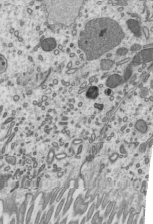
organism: Mouse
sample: Mouse epididymis efferent ductule cilia